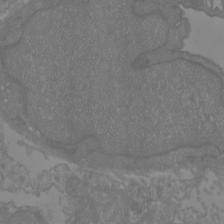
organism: Mouse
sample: Cortical neurons